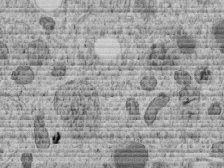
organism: C. elegans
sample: C. elegans embryo early stage